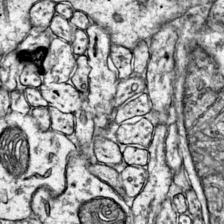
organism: Mouse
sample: Primary visual cortex